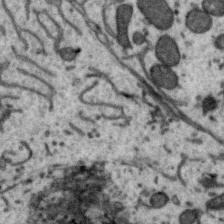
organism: Zebra finch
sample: Brain